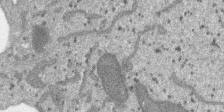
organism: Human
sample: Lung epithelial cells infected with SARS-CoV-2